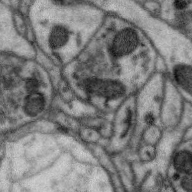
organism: Zebra finch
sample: Brain